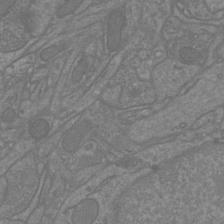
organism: Mouse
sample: Cortical neurons